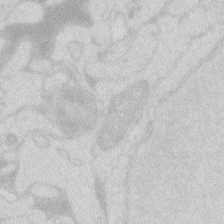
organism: Zebrafish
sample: Macrophage